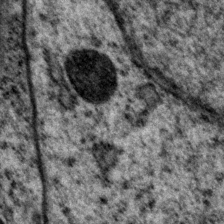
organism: P. pacificus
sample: Pharynx